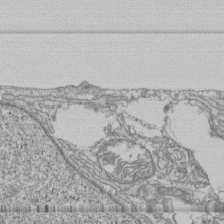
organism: Human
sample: Fibroblast cells